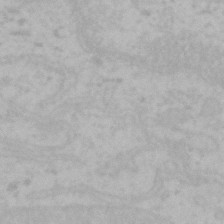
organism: Mouse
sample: Choroid plexus